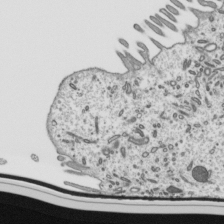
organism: Mouse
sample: Mouse epididymis efferent ductule cilia